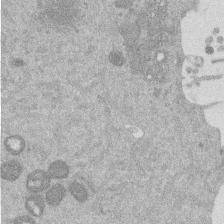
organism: Mouse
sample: Dividing mouse embryo 1 cell stage